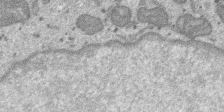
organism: Human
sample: Lung epithelial cells infected with SARS-CoV-2